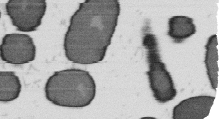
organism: B. subtilis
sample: Bacterial spore